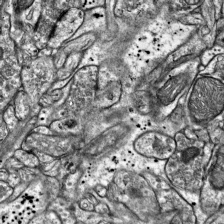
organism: Mouse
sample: Visual Cortex